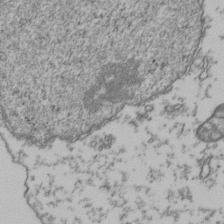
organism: Human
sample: Activated Jurkat CD4+ T cells